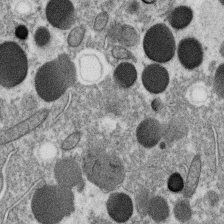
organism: C. elegans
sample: C. elegans oocyte; sperm cells